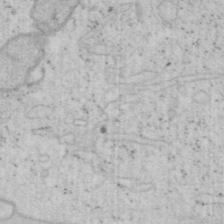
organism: Human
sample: HeLa cells